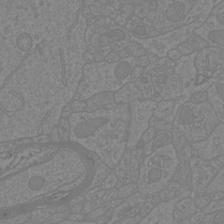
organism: Mouse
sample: Cortical neurons